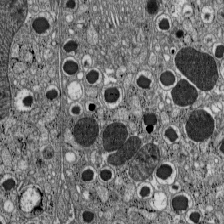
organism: C57BL Mouse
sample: Pancreatic islet